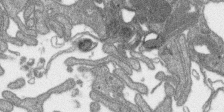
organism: Human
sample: Lung epithelial cells infected with SARS-CoV-2